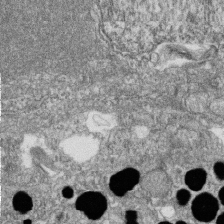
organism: Zebrafish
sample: Cilia; retinal pigment epithelium